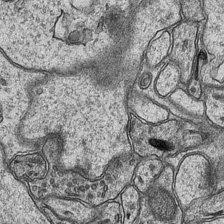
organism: Mouse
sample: CA1 Hippocampus